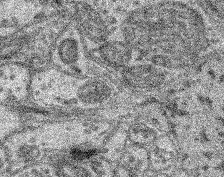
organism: Mouse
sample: Retina